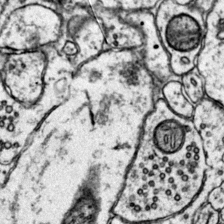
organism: Mouse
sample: Primary visual cortex